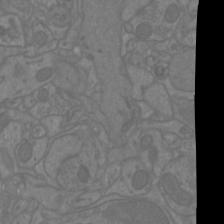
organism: Mouse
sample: Cortical neurons